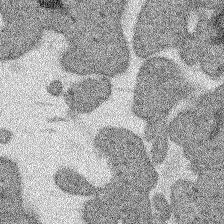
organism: Human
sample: HeLa cells